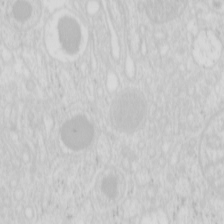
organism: Mouse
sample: Pancreas